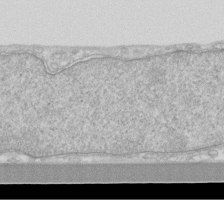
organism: Human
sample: Fibroblast cells